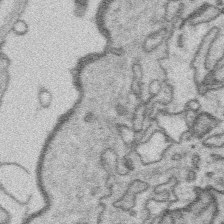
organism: Platynereis dumerilii